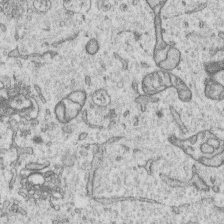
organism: Human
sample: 1205lu cells